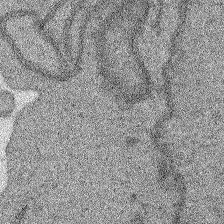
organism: Human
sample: HeLa cells